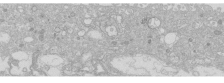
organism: Human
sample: Caco-2 cells